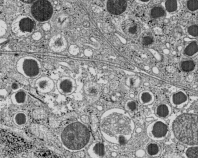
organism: C57BL Mouse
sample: Pancreatic islet